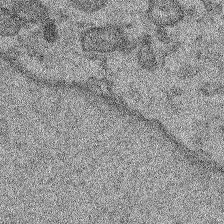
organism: Human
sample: HeLa cells